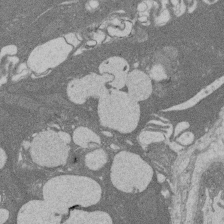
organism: Rat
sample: Salivary granule